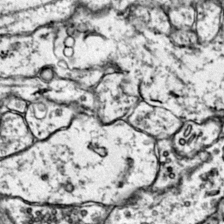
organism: Mouse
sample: Primary visual cortex